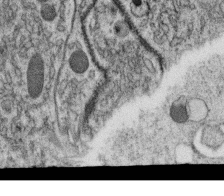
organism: C. elegans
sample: C. elegans oocyte; sperm cells